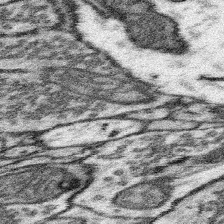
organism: Mouse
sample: Somatosensory cortex neuropil